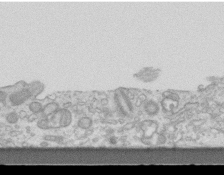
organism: Mouse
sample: Centriole in ependymal cells